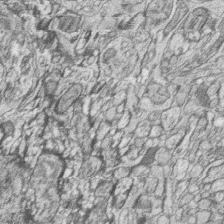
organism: Zebrafish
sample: synaptic ribbons in rod cells and cone cells